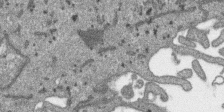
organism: Human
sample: Lung epithelial cells infected with SARS-CoV-2